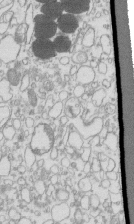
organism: Mouse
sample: Macrophages